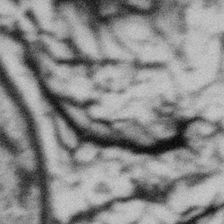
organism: Gemmata obscuriglobus